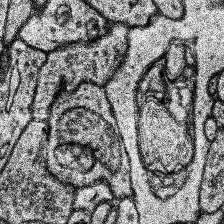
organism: Human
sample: Temporal Lobe